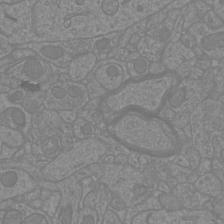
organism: Mouse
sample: Cortical neurons